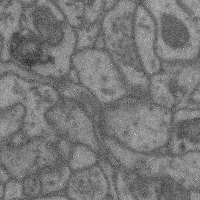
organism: Mouse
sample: Cerebral cortex